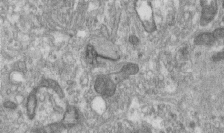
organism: Human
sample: Centriole in RPE cells